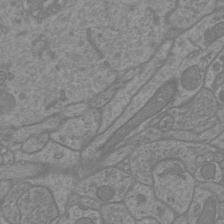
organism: Mouse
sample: Cortical neurons